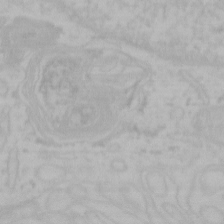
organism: Mouse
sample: Choroid plexus